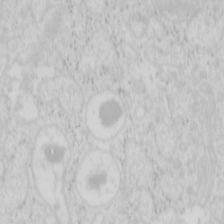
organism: Mouse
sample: Pancreas